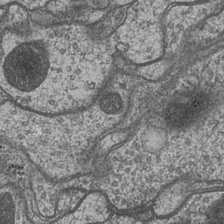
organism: Drosophila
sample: Optic medulla